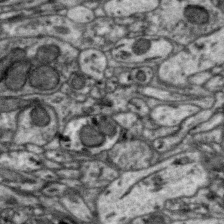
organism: Zebra finch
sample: Brain